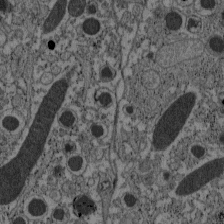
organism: C57BL Mouse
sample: Pancreatic islet